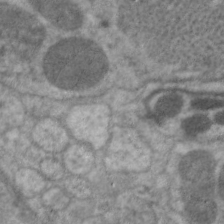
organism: C. elegans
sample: Pharynx